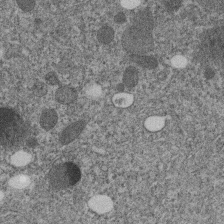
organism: C. elegans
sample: C. elegans embryo early stage